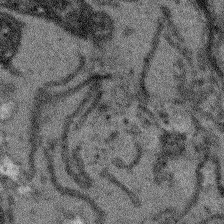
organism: Arabidopsis thaliana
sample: Root tip